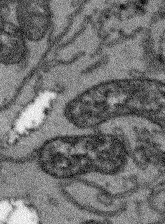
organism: Arabidopsis thaliana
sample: Root tip